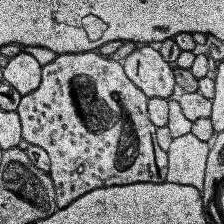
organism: Human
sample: Temporal Lobe